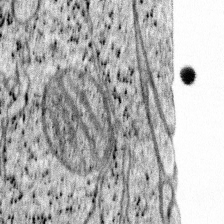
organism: Human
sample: HeLa cells